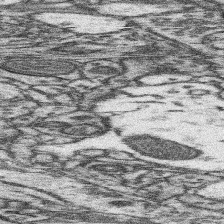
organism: Mouse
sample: Somatosensory cortex neuropil